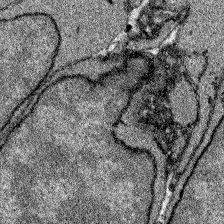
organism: Zebrafish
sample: Larval olfactory bulb